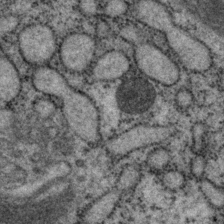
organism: P. pacificus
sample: Pharynx